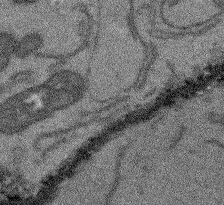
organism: Arabidopsis thaliana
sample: Root tip